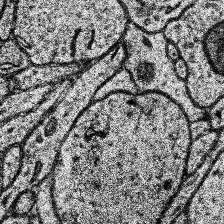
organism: Human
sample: Temporal Lobe